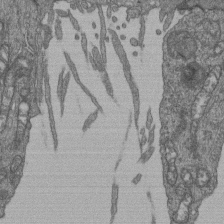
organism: Human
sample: Retinal organoid Rod and Cone cells